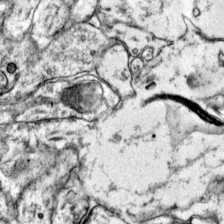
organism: Mouse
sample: Primary visual cortex